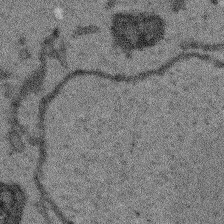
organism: Arabidopsis thaliana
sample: Root tip